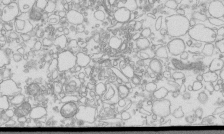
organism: Mouse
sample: Macrophages